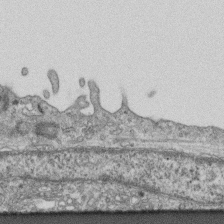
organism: Mouse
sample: Centriole in ependymal cells